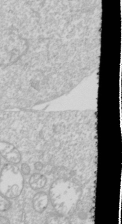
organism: Drosophila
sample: Cell division; meiosis; drosophila spermatocytes